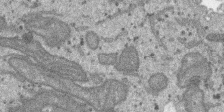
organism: Human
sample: Lung epithelial cells infected with SARS-CoV-2